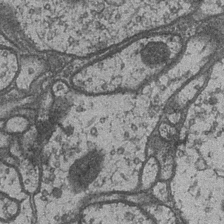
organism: Drosophila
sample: Optic medulla